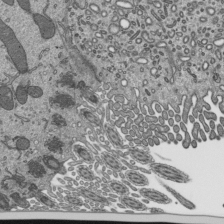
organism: Mouse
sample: Mouse epididymis efferent ductule cilia